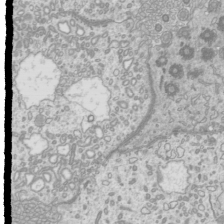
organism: Mouse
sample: Cilia; mouse epididymis